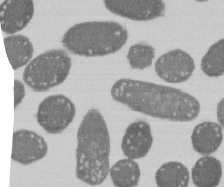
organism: E. coli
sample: Bacterial nucleoid